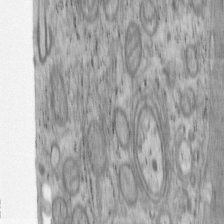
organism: Human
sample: HeLa cells